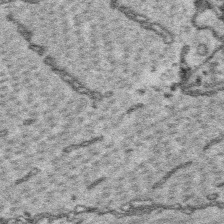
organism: Platynereis dumerilii